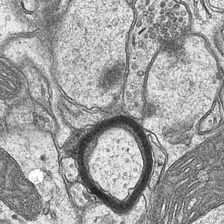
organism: Mouse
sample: CA1 Hippocampus